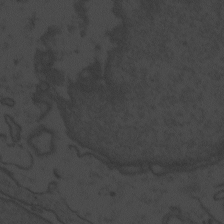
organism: Zebrafish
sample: Macrophage infected with Toxoplasma gondii